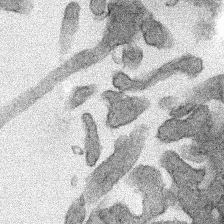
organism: Human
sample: Mitochondria in HCT116 cells